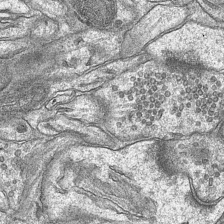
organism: Mouse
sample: CA1 Hippocampus